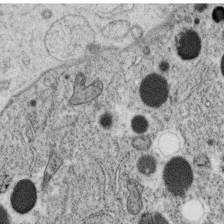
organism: C. elegans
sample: C. elegans oocyte; sperm cells